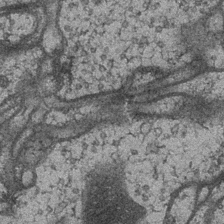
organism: Drosophila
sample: Optic medulla